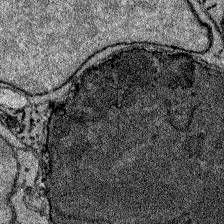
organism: Zebrafish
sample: Larval olfactory bulb